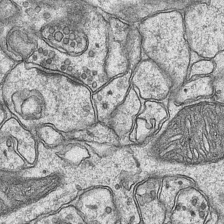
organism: Mouse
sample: CA1 Hippocampus